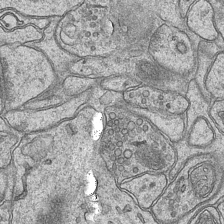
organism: Mouse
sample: CA1 Hippocampus